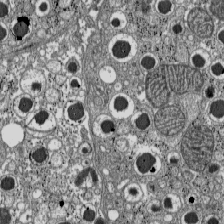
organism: C57BL Mouse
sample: Pancreatic islet